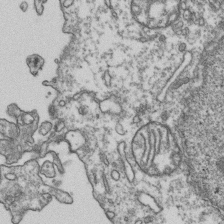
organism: Human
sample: Activated Jurkat CD4+ T cells